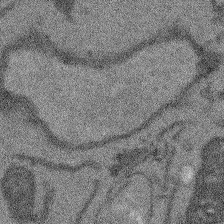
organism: Arabidopsis thaliana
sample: Root tip